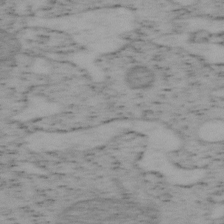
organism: Mouse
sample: OT-I killer T cells with ID8 ovarian cancer cells